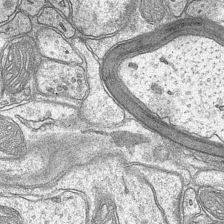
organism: Mouse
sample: CA1 Hippocampus